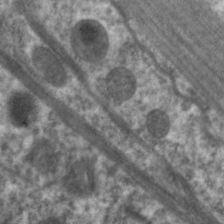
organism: C. elegans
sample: Pharynx